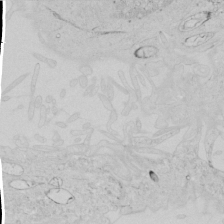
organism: Human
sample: Mitochondria in HCT116 cells